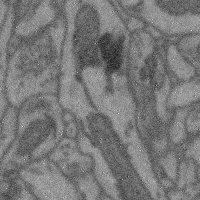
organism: Mouse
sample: Cerebral cortex